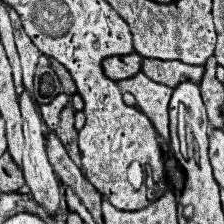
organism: Human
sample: Temporal Lobe